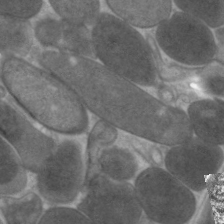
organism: C. elegans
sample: Pharynx